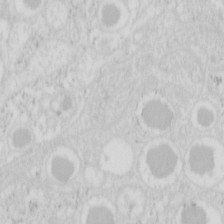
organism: Mouse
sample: Pancreas